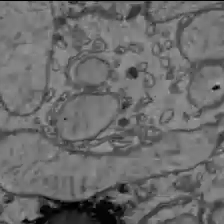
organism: C57BL Mouse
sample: Liver